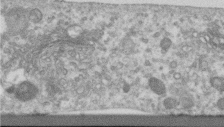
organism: Human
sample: Centriole in RPE cells